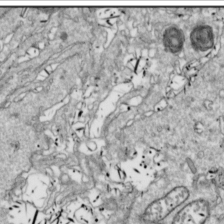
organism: Drosophila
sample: Cell division; meiosis; drosophila spermatocytes